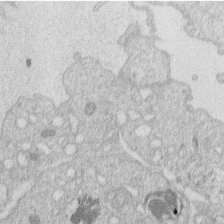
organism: Human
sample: Macrophage cells